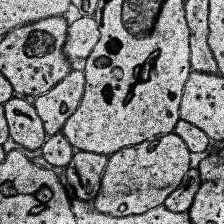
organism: Human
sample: Temporal Lobe